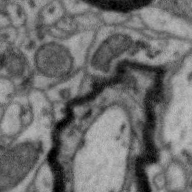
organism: Zebra finch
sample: Brain